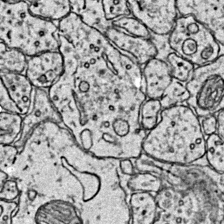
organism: Mouse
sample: Primary visual cortex